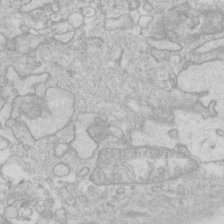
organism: Human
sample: Fibroblast cells